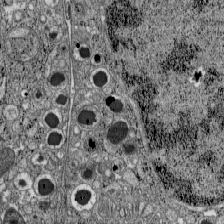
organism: C57BL Mouse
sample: Pancreatic islet